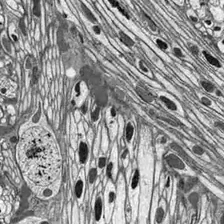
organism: Drosophila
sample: Optic lobe